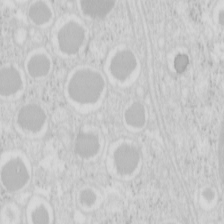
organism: Mouse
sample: Pancreas